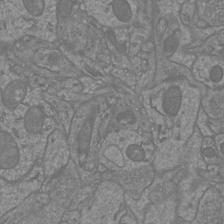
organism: Mouse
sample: Cortical neurons